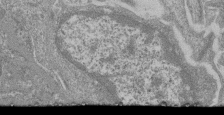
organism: Mouse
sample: Glomerulus